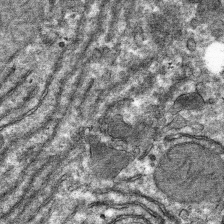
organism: Mouse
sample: Mouse hepatocytes